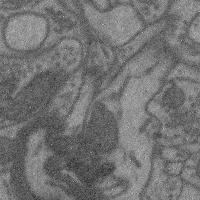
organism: Mouse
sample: Cerebral cortex